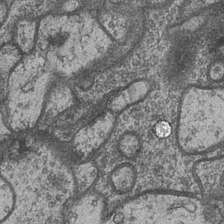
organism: Drosophila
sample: Optic medulla